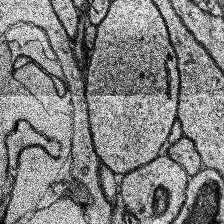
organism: Human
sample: Temporal Lobe